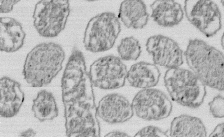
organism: E. coli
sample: Bacterial nucleoid